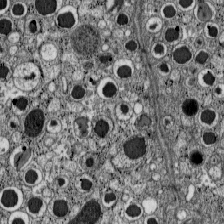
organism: C57BL Mouse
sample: Pancreatic islet